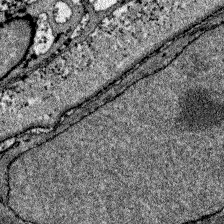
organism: Zebrafish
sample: Larval olfactory bulb